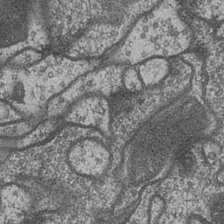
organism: Drosophila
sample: Optic medulla